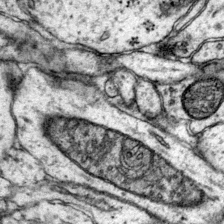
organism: Mouse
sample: Primary visual cortex